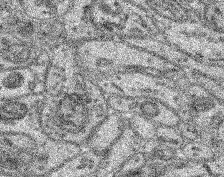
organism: Mouse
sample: Retina